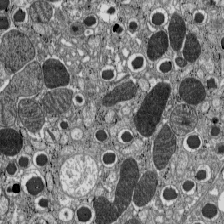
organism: C57BL Mouse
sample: Pancreatic islet